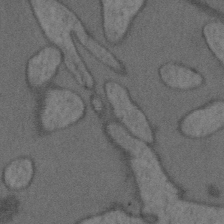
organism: Human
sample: HeLa cells